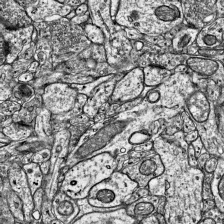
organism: Mouse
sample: Visual Cortex